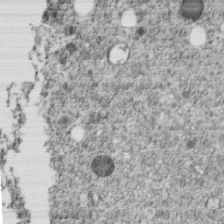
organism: C. elegans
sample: C. elegans embryo early stage